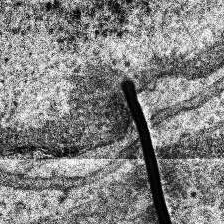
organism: Human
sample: Temporal Lobe